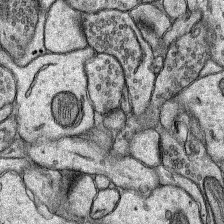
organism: Rat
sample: Hippocampus